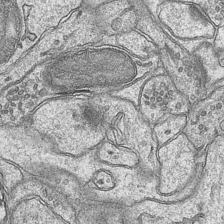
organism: Mouse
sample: CA1 Hippocampus